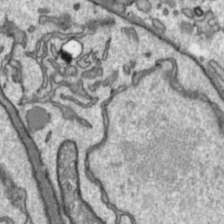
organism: Toxoplasma gondii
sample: Parasites in a vacuole inside a host cell